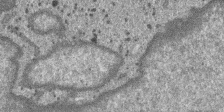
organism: Human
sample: Lung epithelial cells infected with SARS-CoV-2